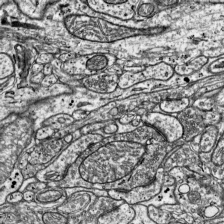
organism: Mouse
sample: Visual Cortex